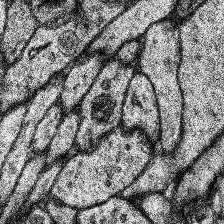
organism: Human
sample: Temporal Lobe